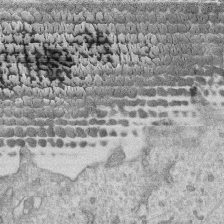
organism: Human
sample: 1205lu cells